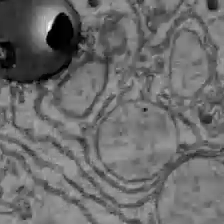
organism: C57BL Mouse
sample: Liver